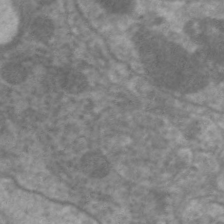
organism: C. elegans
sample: Pharynx